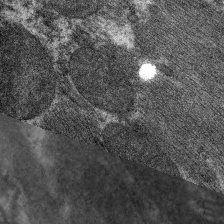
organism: C. elegans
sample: Pharynx